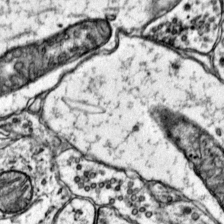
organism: Mouse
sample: Primary visual cortex